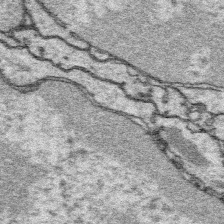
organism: Platynereis dumerilii